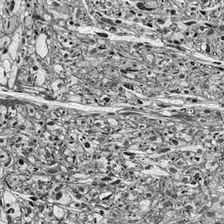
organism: Drosophila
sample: Optic lobe